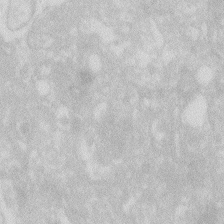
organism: Zebrafish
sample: Macrophage